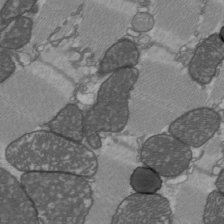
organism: C57BL Mouse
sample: Heart